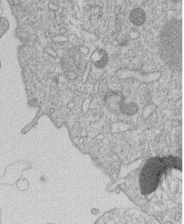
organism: Human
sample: Macrophage cells